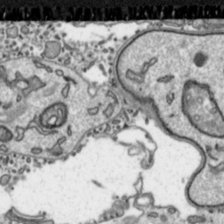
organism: Toxoplasma gondii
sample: Parasites in a vacuole inside a host cell